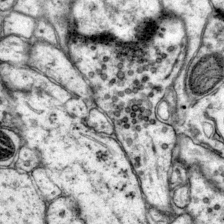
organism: Mouse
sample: Primary visual cortex